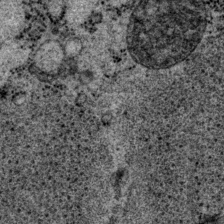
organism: P. pacificus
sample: Pharynx